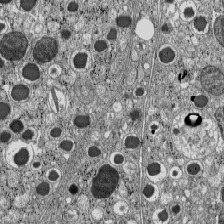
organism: C57BL Mouse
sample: Pancreatic islet